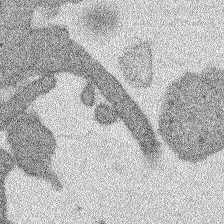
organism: Human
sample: HeLa cells